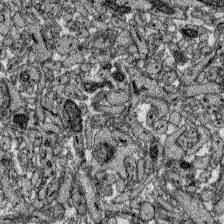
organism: Zebrafish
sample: Larval olfactory bulb